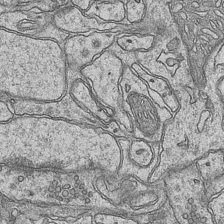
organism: Mouse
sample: CA1 Hippocampus